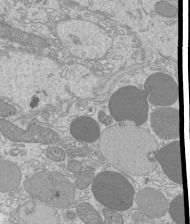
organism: Mouse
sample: Cilia; mouse epididymis